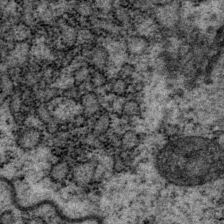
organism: P. pacificus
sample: Pharynx